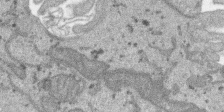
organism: Human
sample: Lung epithelial cells infected with SARS-CoV-2